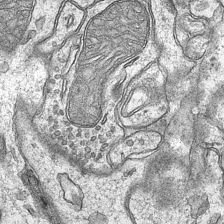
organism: Mouse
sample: CA1 Hippocampus